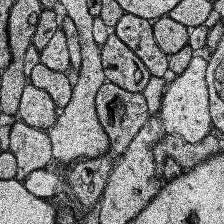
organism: Human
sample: Temporal Lobe